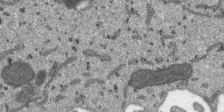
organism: Human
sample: Lung epithelial cells infected with SARS-CoV-2